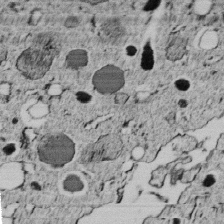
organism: C. elegans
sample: C. elegans embryo early stage